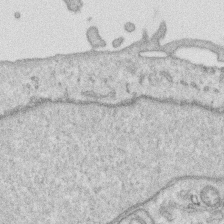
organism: Human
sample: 1205lu cells